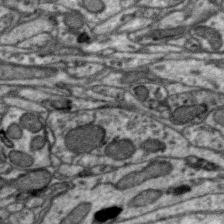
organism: Zebra finch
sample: Brain